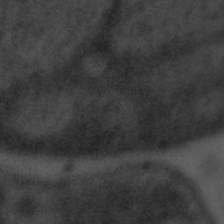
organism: Tuwongella immobilis